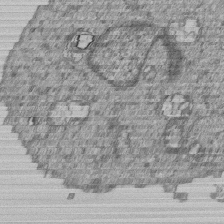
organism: Human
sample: MDA-MB-231 cells